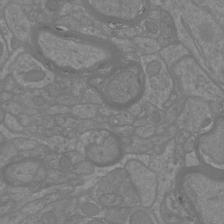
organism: Mouse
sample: Cortical neurons